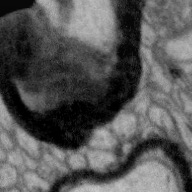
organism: Zebra finch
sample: Brain